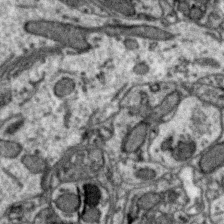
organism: Zebra finch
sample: Brain